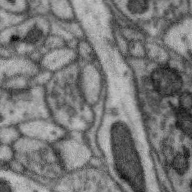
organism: Zebra finch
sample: Brain